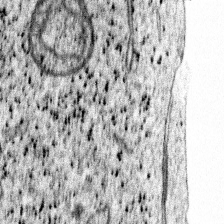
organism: Human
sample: HeLa cells